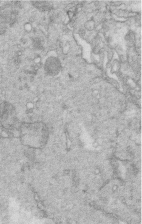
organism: Mouse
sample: Multiciliated cells